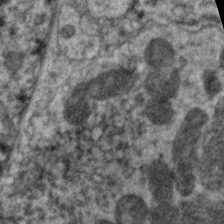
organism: C. elegans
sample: Pharynx